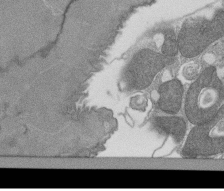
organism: Tetrahymena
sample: Cilia in tetrahymena